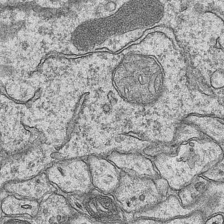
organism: Mouse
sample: CA1 Hippocampus